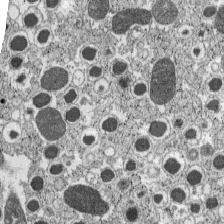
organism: C57BL Mouse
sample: Pancreatic islet